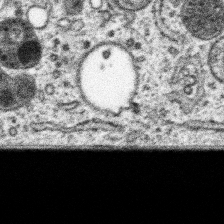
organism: Human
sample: HeLa cells